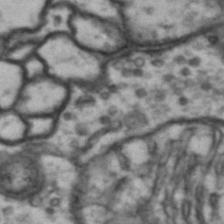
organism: Drosophila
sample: Brain